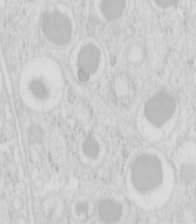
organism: Mouse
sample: Pancreas